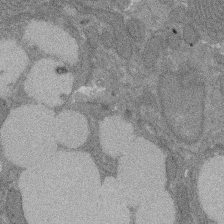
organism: Rat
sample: Salivary granule